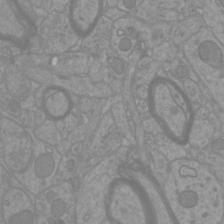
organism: Mouse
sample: Cortical neurons